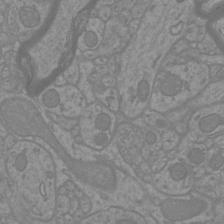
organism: Mouse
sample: Cortical neurons